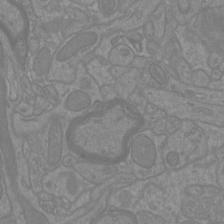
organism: Mouse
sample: Cortical neurons